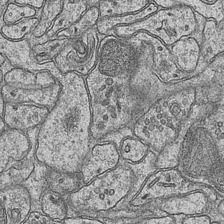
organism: Mouse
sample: CA1 Hippocampus